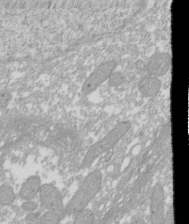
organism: Xenopus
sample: Cilia; centrioles in frog embryo cells